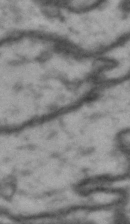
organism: Drosophila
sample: Brain